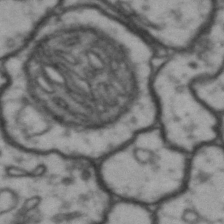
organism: Drosophila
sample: Brain